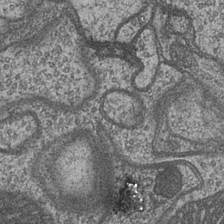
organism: Drosophila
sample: Optic medulla